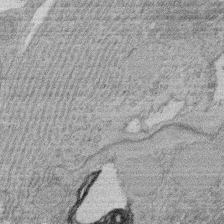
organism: Rat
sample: Salivary granule